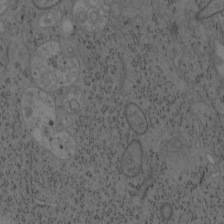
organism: Mouse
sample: OT-I killer T cells with ID8 ovarian cancer cells